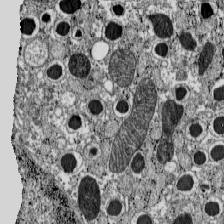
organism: C57BL Mouse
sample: Pancreatic islet